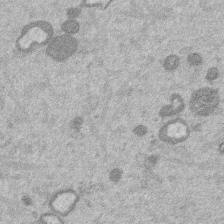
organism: Mouse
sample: Dividing mouse embryo 1 cell stage